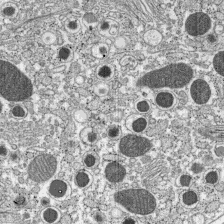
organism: C57BL Mouse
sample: Pancreatic islet